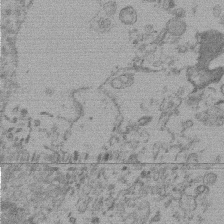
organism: Mouse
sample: Dividing mouse embryo 1 cell stage